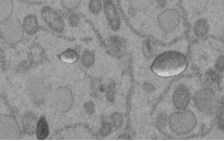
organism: C. elegans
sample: C. elegans embryo early stage